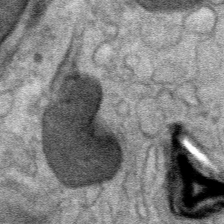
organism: Mouse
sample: Mouse Salivary gland